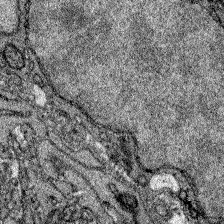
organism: Zebrafish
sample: Larval olfactory bulb